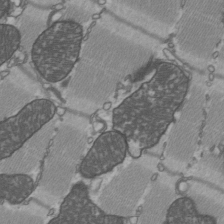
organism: C57BL Mouse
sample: Heart